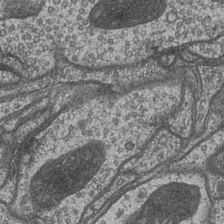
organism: Drosophila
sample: Optic medulla